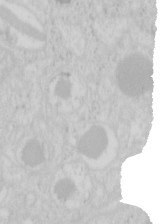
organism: Mouse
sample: Pancreas